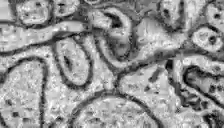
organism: Zebrafish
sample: Brain